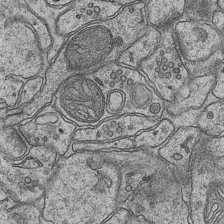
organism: Mouse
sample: CA1 Hippocampus